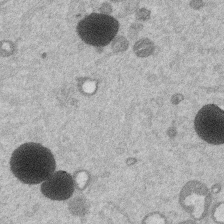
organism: Mouse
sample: Dividing mouse embryo 1 cell stage